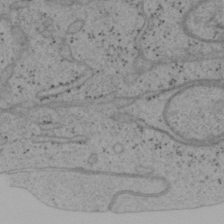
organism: Human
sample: HeLa cells